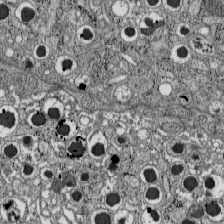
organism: C57BL Mouse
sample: Pancreatic islet